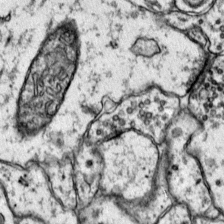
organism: Mouse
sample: Primary visual cortex